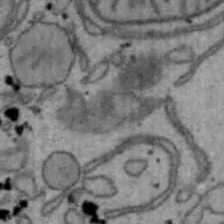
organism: Mouse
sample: Liver